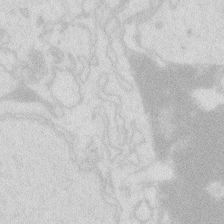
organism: Zebrafish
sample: Macrophage